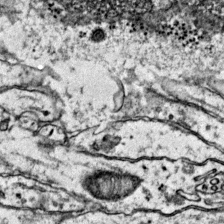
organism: Mouse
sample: Primary visual cortex